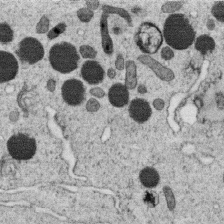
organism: C. elegans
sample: C. elegans oocyte; sperm cells